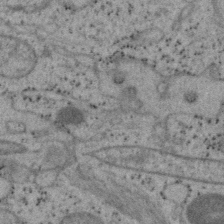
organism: Human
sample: HeLa cells